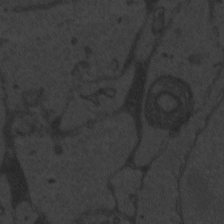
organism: Zebrafish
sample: Macrophage infected with Toxoplasma gondii